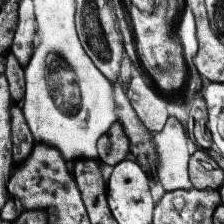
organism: Human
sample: Temporal Lobe